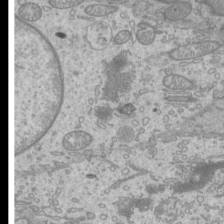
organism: Mouse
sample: Cilia; mouse epididymis